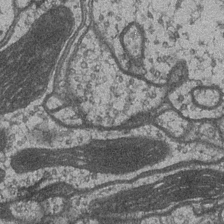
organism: Drosophila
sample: Optic medulla